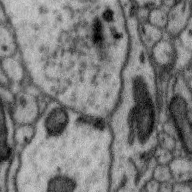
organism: Zebra finch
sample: Brain